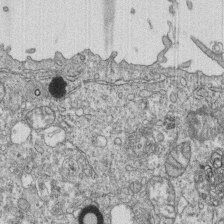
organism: Human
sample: HeLa cell HIV synapse